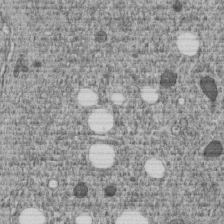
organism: C. elegans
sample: C. elegans embryo early stage